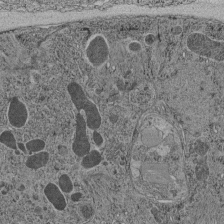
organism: C. elegans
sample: C. elegans pharynx